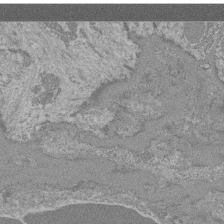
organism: Mouse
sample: Glomerulus